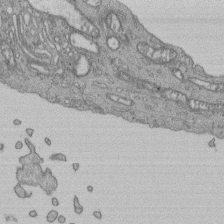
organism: Human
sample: Retinal organoid Rod and Cone cells